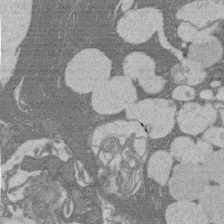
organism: Rat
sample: Salivary granule